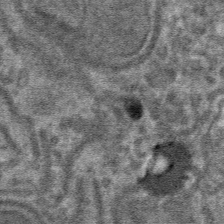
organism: Mouse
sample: Mouse hepatocytes